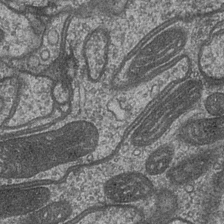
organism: Drosophila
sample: Optic medulla